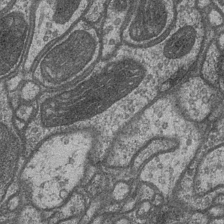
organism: Drosophila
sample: Optic medulla